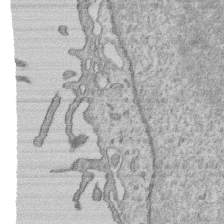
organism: Human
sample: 1205lu cells